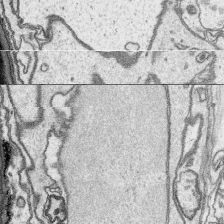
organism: Platynereis dumerilii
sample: Parapodia